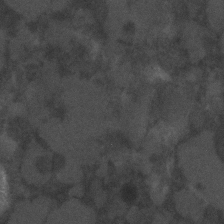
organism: C. elegans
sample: C. elegans embryo